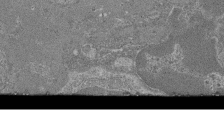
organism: Mouse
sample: Glomerulus